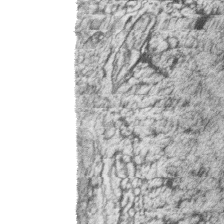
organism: Zebrafish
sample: synaptic ribbons in rod cells and cone cells